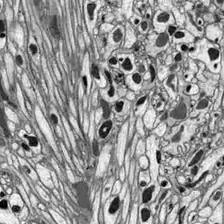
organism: Drosophila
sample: Optic lobe